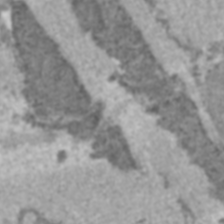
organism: C57BL Mouse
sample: Heart